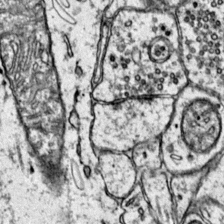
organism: Mouse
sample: Primary visual cortex